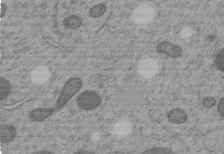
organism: C. elegans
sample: C. elegans embryo early stage